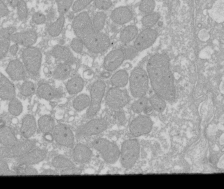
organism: Xenopus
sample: Cilia; centrioles in frog embryo cells